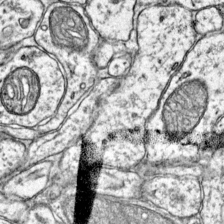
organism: Mouse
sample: Primary visual cortex